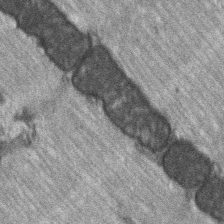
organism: C57BL Mouse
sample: Soleus